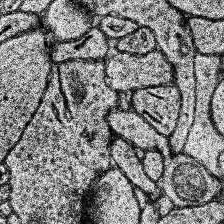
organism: Human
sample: Temporal Lobe